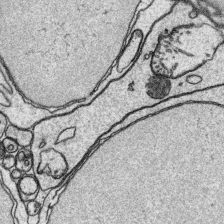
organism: Platynereis dumerilii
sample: Parapodia